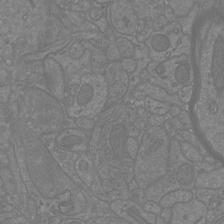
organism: Mouse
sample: Cortical neurons